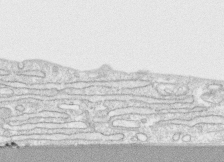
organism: Human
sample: CRL-1474